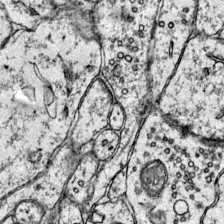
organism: Mouse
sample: Primary visual cortex